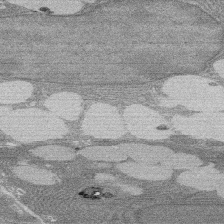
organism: Rat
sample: Salivary granule